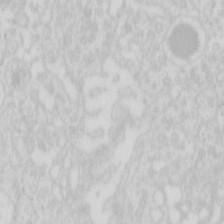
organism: Mouse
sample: Pancreas